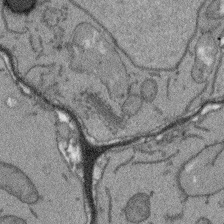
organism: Arabidopsis thaliana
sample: Root tip